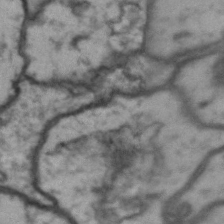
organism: Drosophila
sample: Brain